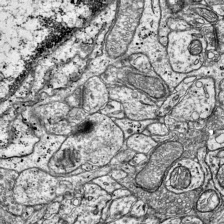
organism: Mouse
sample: Visual Cortex